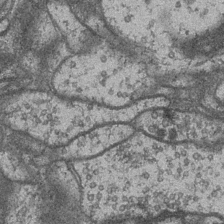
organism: Drosophila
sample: Optic medulla